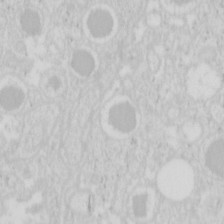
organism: Mouse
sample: Pancreas